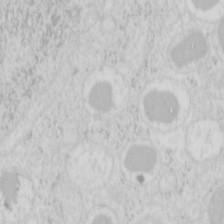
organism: Mouse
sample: Pancreas